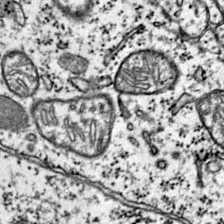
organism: Mouse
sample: Primary visual cortex